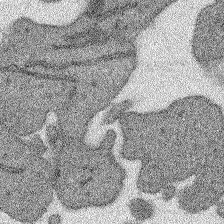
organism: Human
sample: HeLa cells